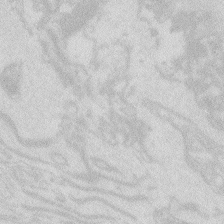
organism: Zebrafish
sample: Macrophage